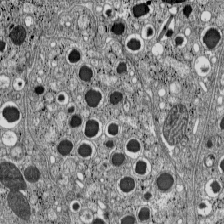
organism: C57BL Mouse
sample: Pancreatic islet